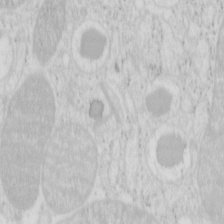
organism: Mouse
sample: Pancreas